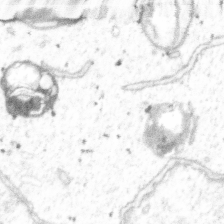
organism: Human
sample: HeLa cells